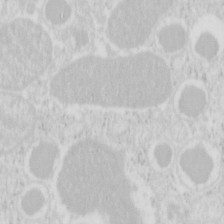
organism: Mouse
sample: Pancreas